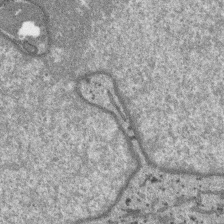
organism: Human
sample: Lung epithelial cells infected with SARS-CoV-2